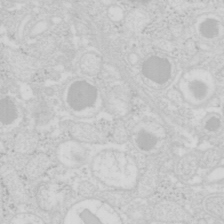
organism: Mouse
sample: Pancreas